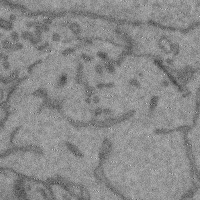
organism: Mouse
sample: Cerebral cortex